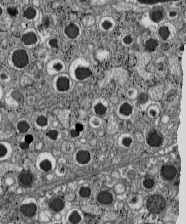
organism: C57BL Mouse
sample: Pancreatic islet